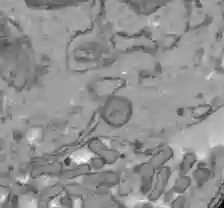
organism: C57BL Mouse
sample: Liver